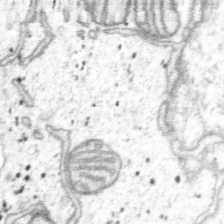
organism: Human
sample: HeLa cells